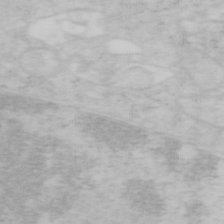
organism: Mouse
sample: OT-I killer T cells with ID8 ovarian cancer cells